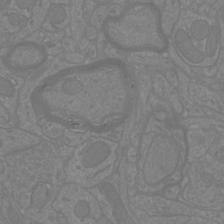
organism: Mouse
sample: Cortical neurons